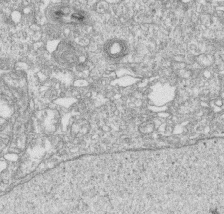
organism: Human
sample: HeLa cell HIV synapse